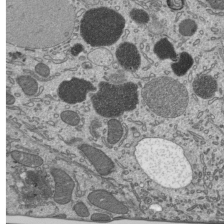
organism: Mouse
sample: Mouse epididymis efferent ductule cilia